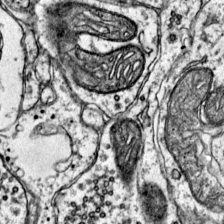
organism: Mouse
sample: Primary visual cortex